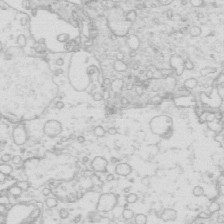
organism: Mouse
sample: Multiciliated cells